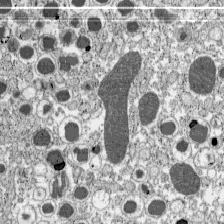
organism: C57BL Mouse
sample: Pancreatic islet